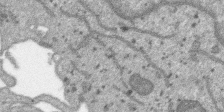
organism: Human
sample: Lung epithelial cells infected with SARS-CoV-2